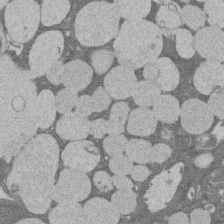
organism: Rat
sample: Salivary granule